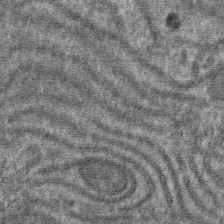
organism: Mouse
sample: Mouse hepatocytes